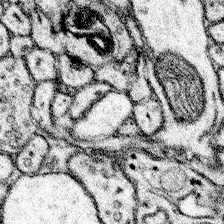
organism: Mouse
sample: Somatosensory cortex neuropil